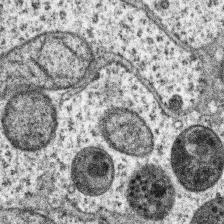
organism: Human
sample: HeLa cells